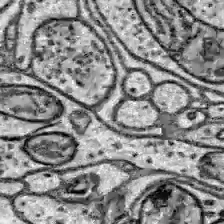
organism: Zebrafish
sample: Brain